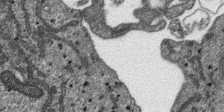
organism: Human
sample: Lung epithelial cells infected with SARS-CoV-2